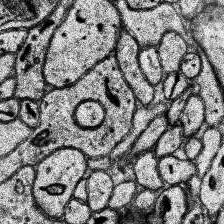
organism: Human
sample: Temporal Lobe